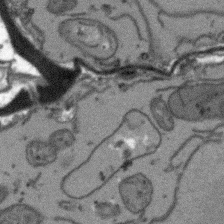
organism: Arabidopsis thaliana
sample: Root tip